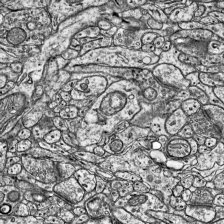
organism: Mouse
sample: Visual Cortex